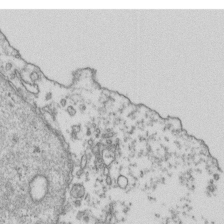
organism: Human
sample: Activated Jurkat CD4+ T cells